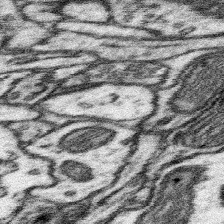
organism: Mouse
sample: Somatosensory cortex neuropil